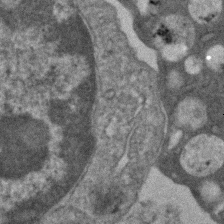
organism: Human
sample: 1205lu cells